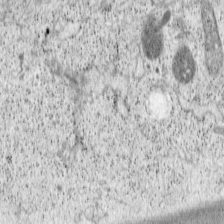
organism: African green monkey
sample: COS-7 cells